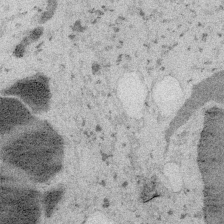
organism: Embia sp.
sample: Silk gland